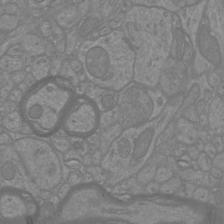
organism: Mouse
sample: Cortical neurons